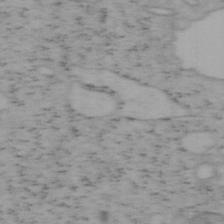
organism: Mouse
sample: OT-I killer T cells with ID8 ovarian cancer cells